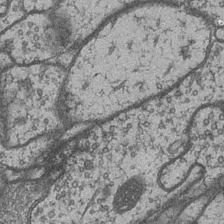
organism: Drosophila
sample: Optic medulla